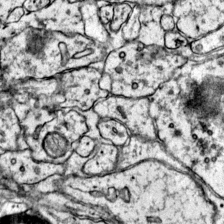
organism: Mouse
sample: Primary visual cortex